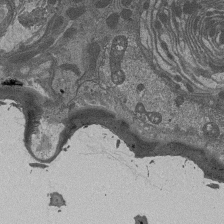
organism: Drosophila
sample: Antenna